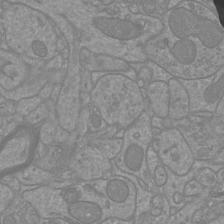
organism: Mouse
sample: Cortical neurons